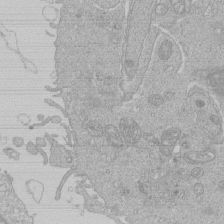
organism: Human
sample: Macrophage cells